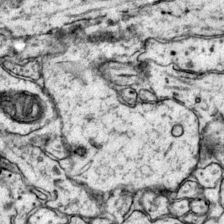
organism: Mouse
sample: Primary visual cortex